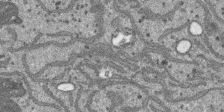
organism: Human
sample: Lung epithelial cells infected with SARS-CoV-2